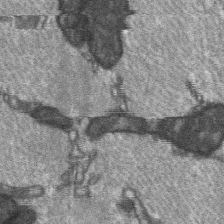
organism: C57BL Mouse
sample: Soleus